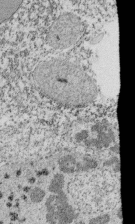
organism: Tetrahymena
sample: Cilia in tetrahymena